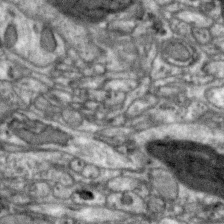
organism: Zebra finch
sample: Brain